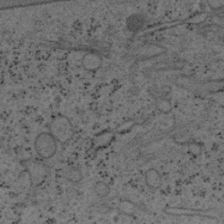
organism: Human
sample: HeLa cells